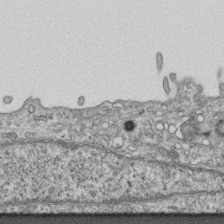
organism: Mouse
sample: Centriole in ependymal cells